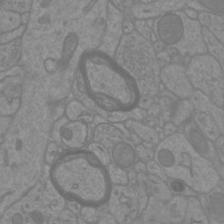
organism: Mouse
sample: Cortical neurons